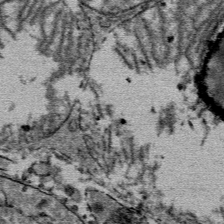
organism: Mouse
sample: Mouse Salivary gland